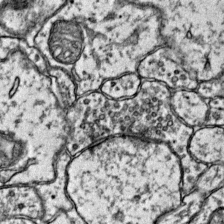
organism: Mouse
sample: Primary visual cortex